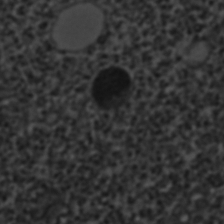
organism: C. elegans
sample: C. elegans embryo